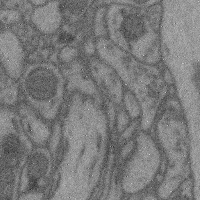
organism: Mouse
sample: Cerebral cortex